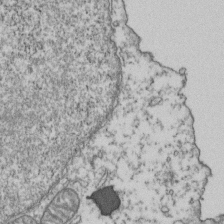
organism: Human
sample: Activated Jurkat CD4+ T cells